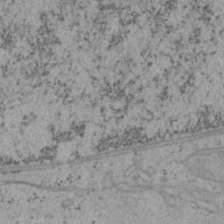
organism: Human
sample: HeLa cells